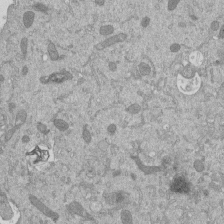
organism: Mouse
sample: ED-1 cell nuclei; centrioles